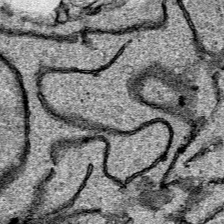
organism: Human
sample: Mitochondria in HCT116 cells